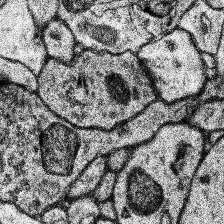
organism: Human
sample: Temporal Lobe